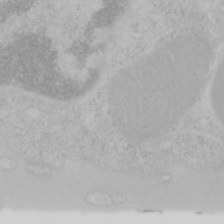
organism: Mouse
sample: OT-I killer T cells with ID8 ovarian cancer cells